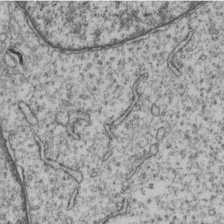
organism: Human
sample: MDA-MB-231 cells